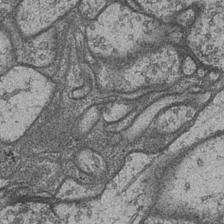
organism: Drosophila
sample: Optic medulla